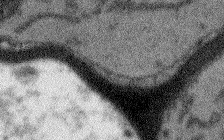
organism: Arabidopsis thaliana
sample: Root tip